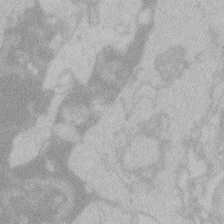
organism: Zebrafish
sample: Macrophage infected with Toxoplasma gondii